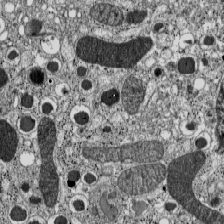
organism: C57BL Mouse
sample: Pancreatic islet